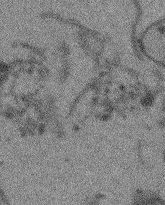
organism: Arabidopsis thaliana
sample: Root tip